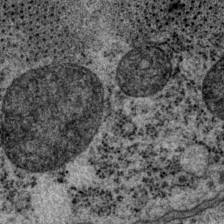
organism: P. pacificus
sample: Pharynx